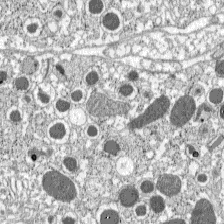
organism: C57BL Mouse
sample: Pancreatic islet